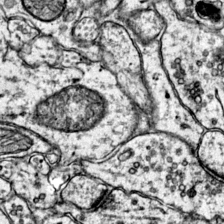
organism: Mouse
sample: Primary visual cortex